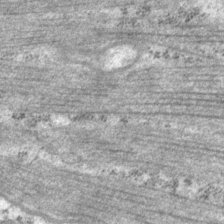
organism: P. pacificus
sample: Pharynx